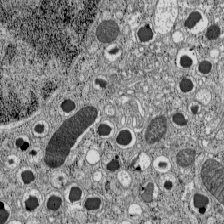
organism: C57BL Mouse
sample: Pancreatic islet